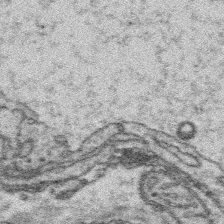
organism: Platynereis dumerilii